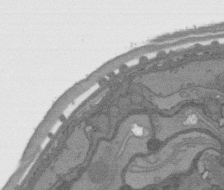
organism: C. elegans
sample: AFD neurons C. elegans